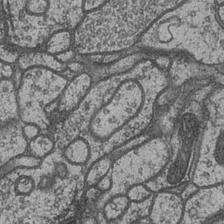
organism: Drosophila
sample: Optic medulla